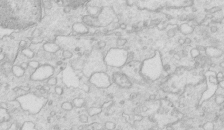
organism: Mouse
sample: Multiciliated cells